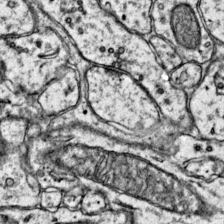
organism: Mouse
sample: Primary visual cortex